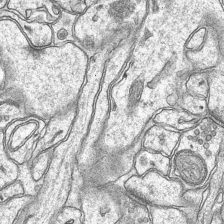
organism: Mouse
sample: CA1 Hippocampus